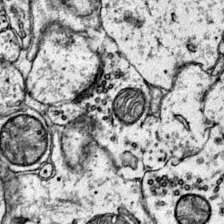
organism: Mouse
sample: Primary visual cortex